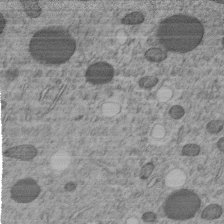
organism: C. elegans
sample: C. elegans embryo early stage